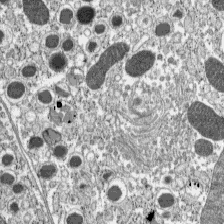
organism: C57BL Mouse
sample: Pancreatic islet